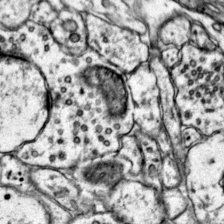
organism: Mouse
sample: Primary visual cortex